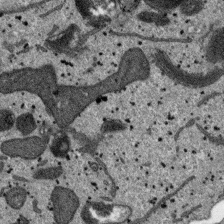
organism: Human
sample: Lung epithelial cells, uninfected (mock) control